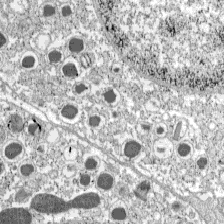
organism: C57BL Mouse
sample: Pancreatic islet